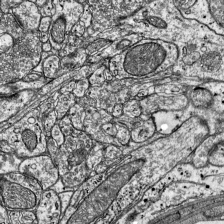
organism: Mouse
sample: Visual Cortex